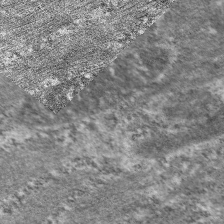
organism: C. elegans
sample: Pharynx